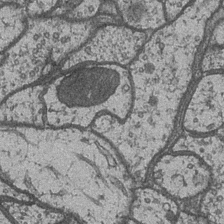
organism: Drosophila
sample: Optic medulla